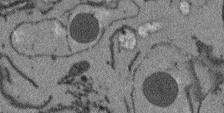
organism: Arabidopsis thaliana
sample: Root tip